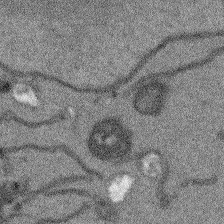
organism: Arabidopsis thaliana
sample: Root tip